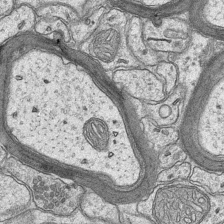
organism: Mouse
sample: CA1 Hippocampus